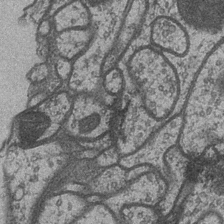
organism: Drosophila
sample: Optic medulla